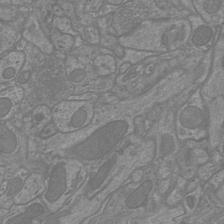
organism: Mouse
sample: Cortical neurons